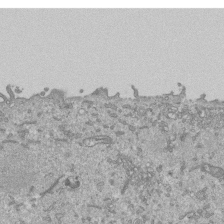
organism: Mouse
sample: ED-1 cell nuclei; centrioles